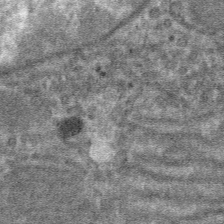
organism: Mouse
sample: Mouse hepatocytes